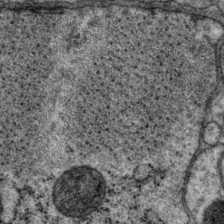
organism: P. pacificus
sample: Pharynx